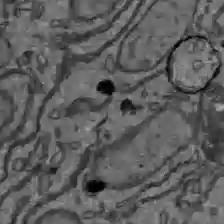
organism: C57BL Mouse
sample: Liver